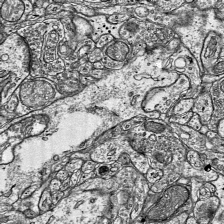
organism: Mouse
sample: Visual Cortex